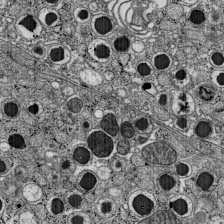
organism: C57BL Mouse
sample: Pancreatic islet